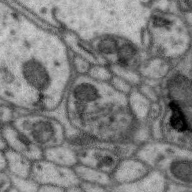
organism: Zebra finch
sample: Brain